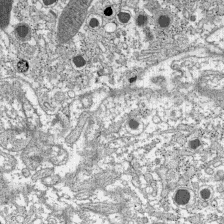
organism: C57BL Mouse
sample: Pancreatic islet